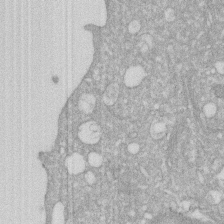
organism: Human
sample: HIV infected U937 cells